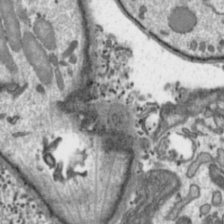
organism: Toxoplasma gondii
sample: Parasites in a vacuole inside a host cell